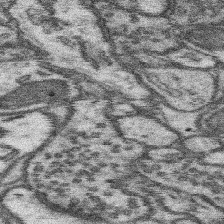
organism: Mouse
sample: Somatosensory cortex neuropil